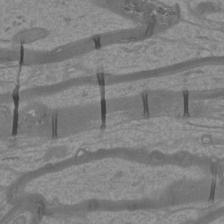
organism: Mouse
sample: Cortical neurons